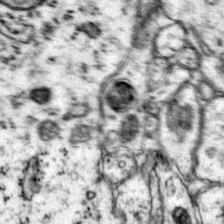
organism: Mouse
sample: Primary visual cortex